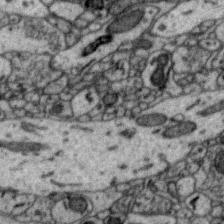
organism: Zebra finch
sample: Brain